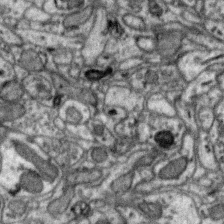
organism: Zebra finch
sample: Brain